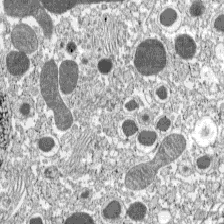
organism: C57BL Mouse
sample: Pancreatic islet